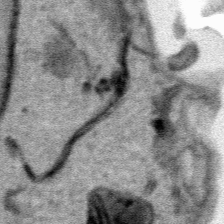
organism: Human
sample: Mitochondria in HCT116 cells